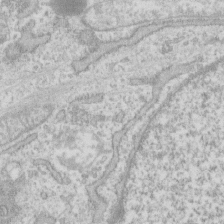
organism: Human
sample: Fibroblast cells